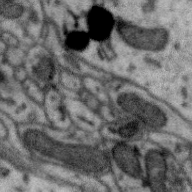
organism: Zebra finch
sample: Brain